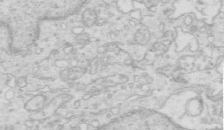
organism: Mouse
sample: Multiciliated cells